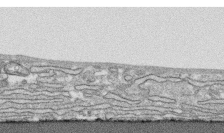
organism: Human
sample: CRL-1474